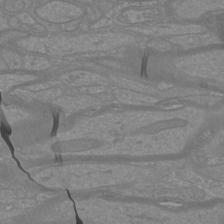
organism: Mouse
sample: Cortical neurons